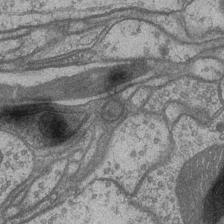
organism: Drosophila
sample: Optic medulla